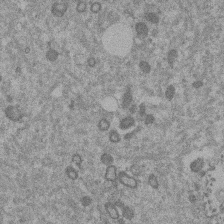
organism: Mouse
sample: Dividing mouse embryo 1 cell stage